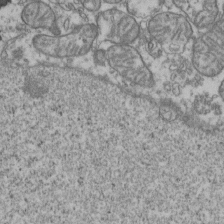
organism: Human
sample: Activated Jurkat CD4+ T cells